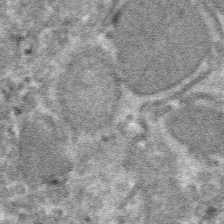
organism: Mouse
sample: Mouse hepatocytes